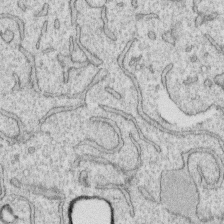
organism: Human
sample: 1205lu cells